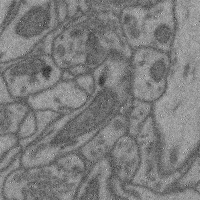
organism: Mouse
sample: Cerebral cortex